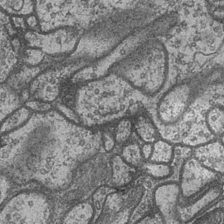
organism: Drosophila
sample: Optic medulla